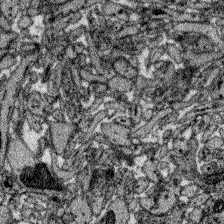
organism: Zebrafish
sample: Larval olfactory bulb